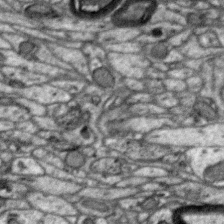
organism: Zebra finch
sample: Brain